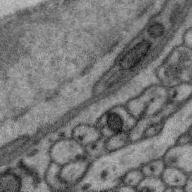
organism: Zebra finch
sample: Brain